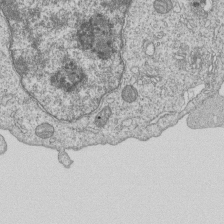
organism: Human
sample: MDA-MB-231 cells